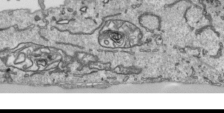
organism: Human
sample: Mitochondria in HCT116 cells